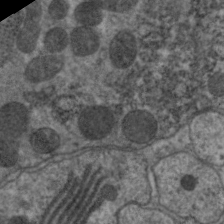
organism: C. elegans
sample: Pharynx